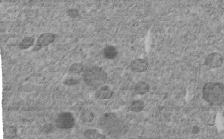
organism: C. elegans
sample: C. elegans embryo early stage